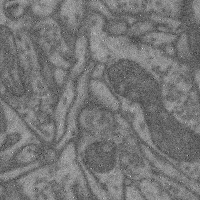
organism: Mouse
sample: Cerebral cortex